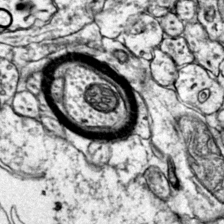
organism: Mouse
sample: Primary visual cortex